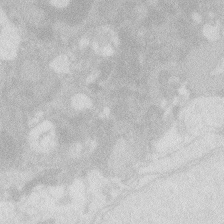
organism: Zebrafish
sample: Macrophage